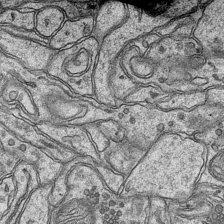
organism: Mouse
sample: CA1 Hippocampus